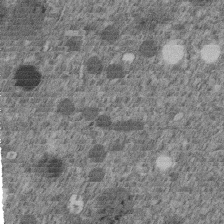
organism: C. elegans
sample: C. elegans embryo early stage